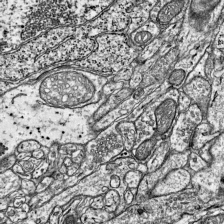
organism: Mouse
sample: Visual Cortex